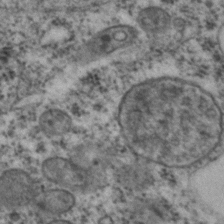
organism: C. elegans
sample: C. elegans embryo